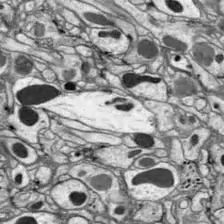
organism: Drosophila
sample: Optic lobe